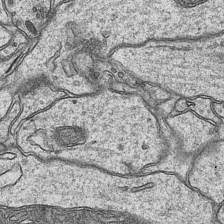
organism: Mouse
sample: CA1 Hippocampus